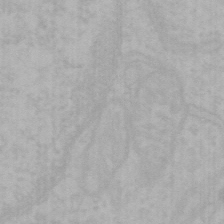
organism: Mouse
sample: Choroid plexus